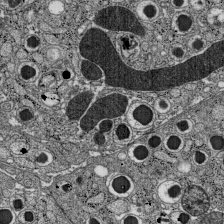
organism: C57BL Mouse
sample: Pancreatic islet